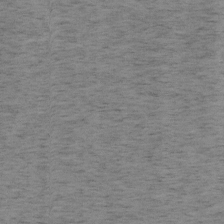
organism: Mouse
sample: OT-I killer T cells with ID8 ovarian cancer cells